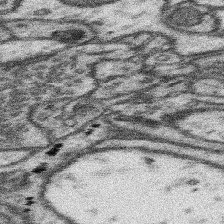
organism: Mouse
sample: Somatosensory cortex neuropil